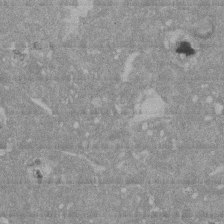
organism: Mouse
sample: ED-1 cell nuclei; centrioles